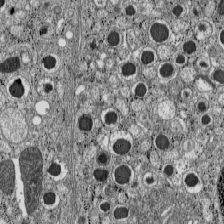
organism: C57BL Mouse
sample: Pancreatic islet